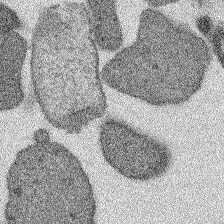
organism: Human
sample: HeLa cells